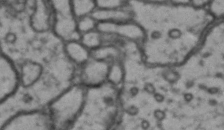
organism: Drosophila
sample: Brain